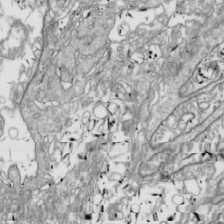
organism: Drosophila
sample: Cell division; meiosis; drosophila spermatocytes